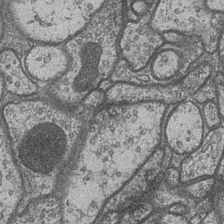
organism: Drosophila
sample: Optic medulla